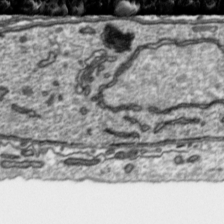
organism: Toxoplasma gondii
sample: Parasites in a vacuole inside a host cell